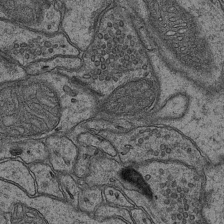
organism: Mouse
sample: CA1 Hippocampus